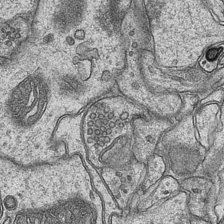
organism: Mouse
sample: CA1 Hippocampus